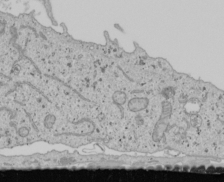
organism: Human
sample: Mitochondria in U2OS cells